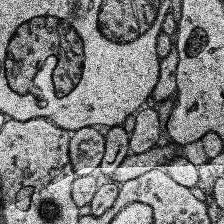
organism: Human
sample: Temporal Lobe